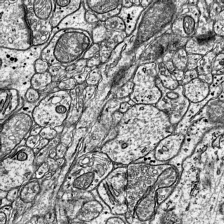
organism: Mouse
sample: Visual Cortex